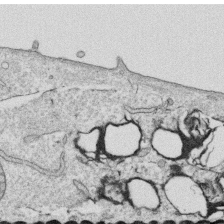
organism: Human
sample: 1205lu cells